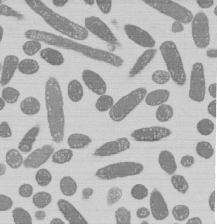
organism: E. coli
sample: Bacterial nucleoid